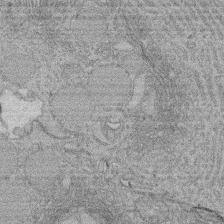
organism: Rat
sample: Salivary granule